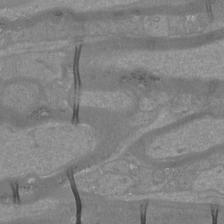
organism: Mouse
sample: Cortical neurons